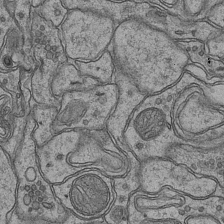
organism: Mouse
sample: CA1 Hippocampus